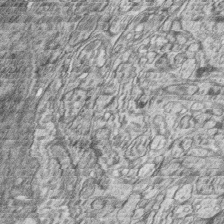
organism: Zebrafish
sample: synaptic ribbons in rod cells and cone cells